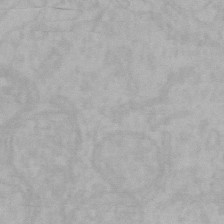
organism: Mouse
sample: Choroid plexus